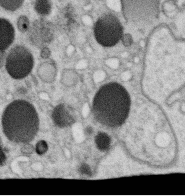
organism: C. elegans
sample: C. elegans oocyte; sperm cells